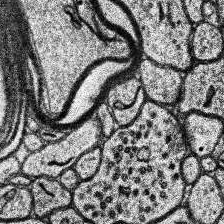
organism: Human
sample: Temporal Lobe